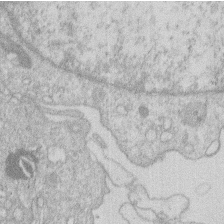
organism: Human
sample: Macrophage cells